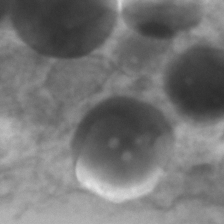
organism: Zebrafish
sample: Zebrafish embryo